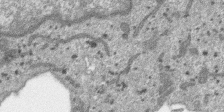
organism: Human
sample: Lung epithelial cells infected with SARS-CoV-2